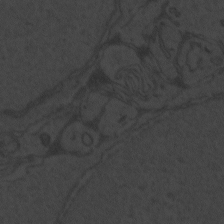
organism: Zebrafish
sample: Macrophage infected with Toxoplasma gondii